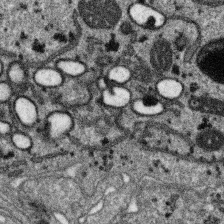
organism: Human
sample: Lung epithelial cells infected with SARS-CoV-2